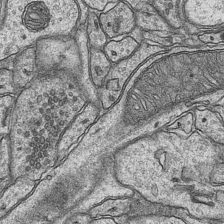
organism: Mouse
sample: CA1 Hippocampus